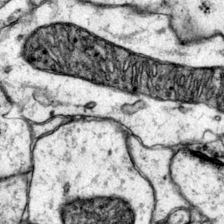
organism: Mouse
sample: Primary visual cortex